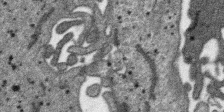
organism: Human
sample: Lung epithelial cells infected with SARS-CoV-2